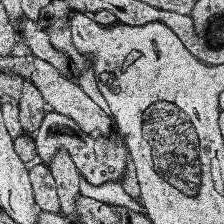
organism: Human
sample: Temporal Lobe